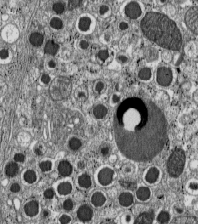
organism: C57BL Mouse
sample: Pancreatic islet